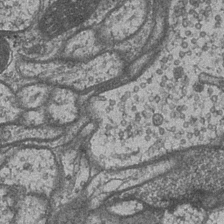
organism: Drosophila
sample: Optic medulla